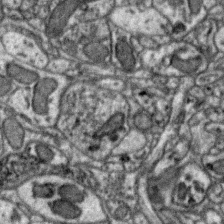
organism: Zebra finch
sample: Brain